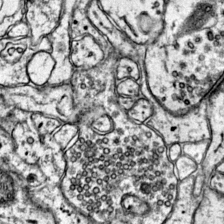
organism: Mouse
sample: Primary visual cortex